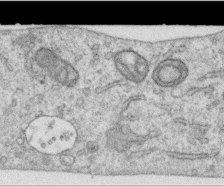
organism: Human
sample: Centriole in RPE cells